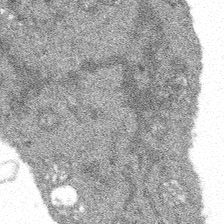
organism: Spongilla lacustris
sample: Multiple